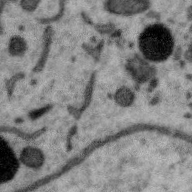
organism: Zebra finch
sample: Brain